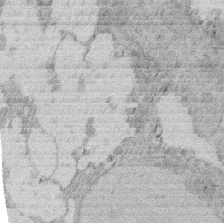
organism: Rat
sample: Salivary granule